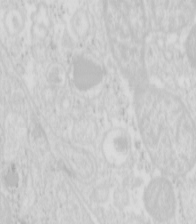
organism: Mouse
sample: Pancreas